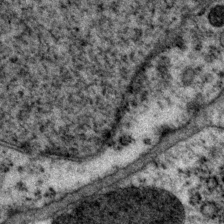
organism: P. pacificus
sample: Pharynx